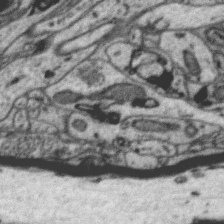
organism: Zebra finch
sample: Brain